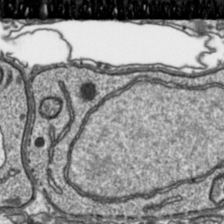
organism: Toxoplasma gondii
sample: Parasites in a vacuole inside a host cell